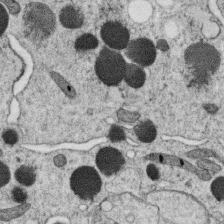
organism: C. elegans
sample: C. elegans oocyte; sperm cells